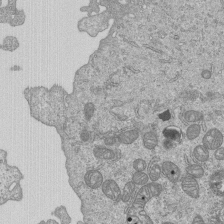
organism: Human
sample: MDA-MB-231 cells